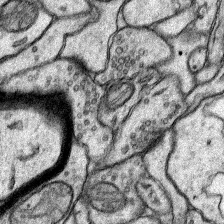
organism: Rat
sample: Hippocampus